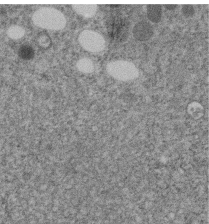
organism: C. elegans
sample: C. elegans embryo early stage